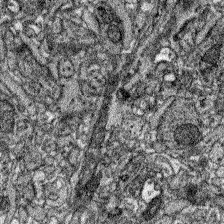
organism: Zebrafish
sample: Larval olfactory bulb